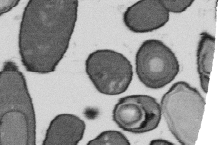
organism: B. subtilis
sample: Bacterial spore